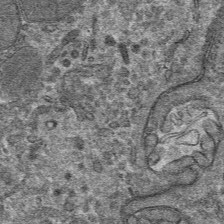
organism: Mouse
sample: Mouse hepatocytes